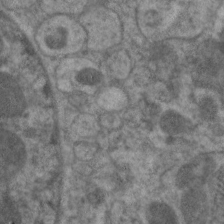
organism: C. elegans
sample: Pharynx